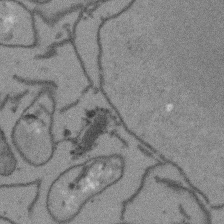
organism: Arabidopsis thaliana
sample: Root tip